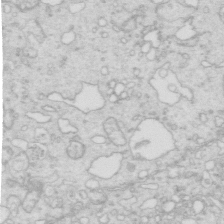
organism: Mouse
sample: Multiciliated cells